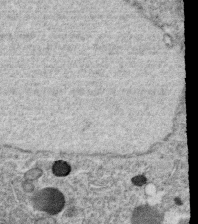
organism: C. elegans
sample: C. elegans oocyte; sperm cells